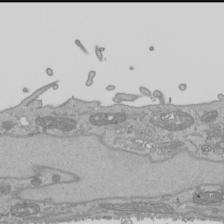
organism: Human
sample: Mitochondria in HCT116 cells